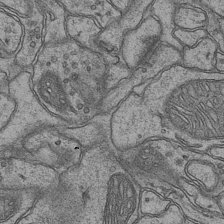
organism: Mouse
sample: CA1 Hippocampus